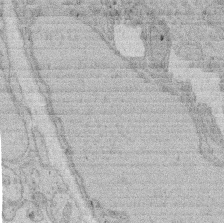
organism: Rat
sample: Salivary granule